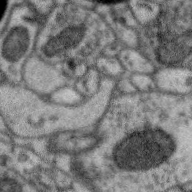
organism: Zebra finch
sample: Brain